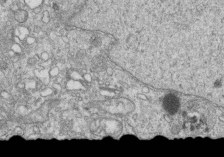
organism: Human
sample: HeLa cell HIV synapse